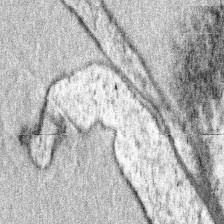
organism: Human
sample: HeLa cells